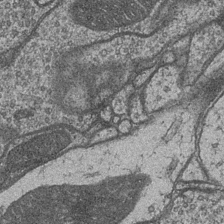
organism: Drosophila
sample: Optic medulla